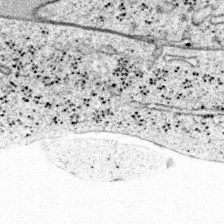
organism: Human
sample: HeLa cells